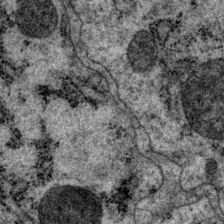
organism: P. pacificus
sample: Pharynx